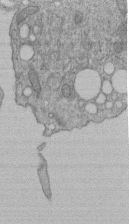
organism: Human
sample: Retinal organoid Rod and Cone cells